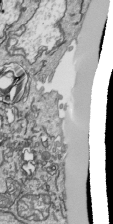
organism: Human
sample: Mitochondria in HCT116 cells